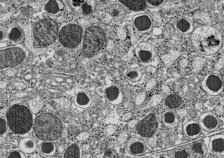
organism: C57BL Mouse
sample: Pancreatic islet